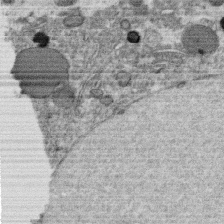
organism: C. elegans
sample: C. elegans oocyte; sperm cells